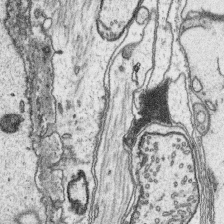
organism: Platynereis dumerilii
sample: Parapodia